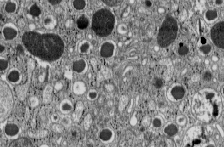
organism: C57BL Mouse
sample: Pancreatic islet